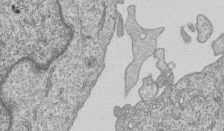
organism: Human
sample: MDA-MB-231 cells